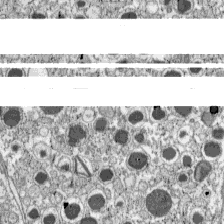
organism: C57BL Mouse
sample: Pancreatic islet